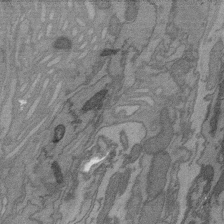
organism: C. elegans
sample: AFD neurons C. elegans